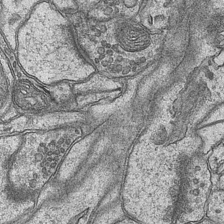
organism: Mouse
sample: CA1 Hippocampus